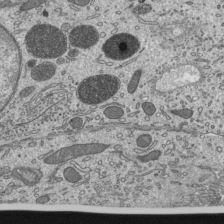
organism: Mouse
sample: Mouse epididymis efferent ductule cilia